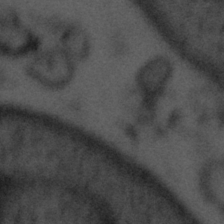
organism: Tuwongella immobilis